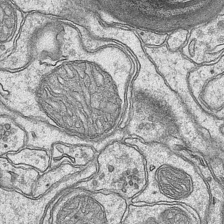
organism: Mouse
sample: CA1 Hippocampus